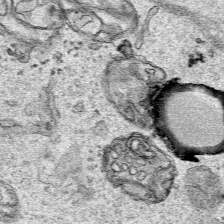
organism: Human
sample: Mitochondria in HCT116 cells